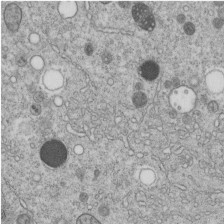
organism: C. elegans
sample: C. elegans embryo early stage